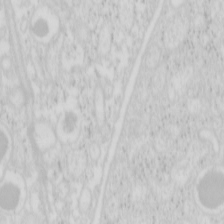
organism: Mouse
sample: Pancreas